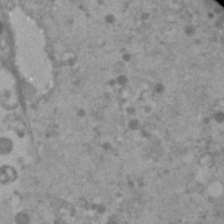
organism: Human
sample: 1205lu cells